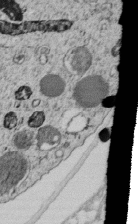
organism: C. elegans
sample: C. elegans embryo early stage